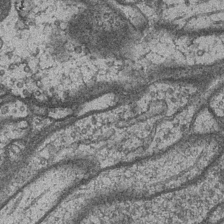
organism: Drosophila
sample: Optic medulla